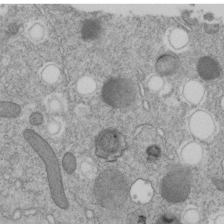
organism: C. elegans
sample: C. elegans embryo early stage